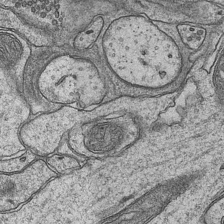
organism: Mouse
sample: CA1 Hippocampus